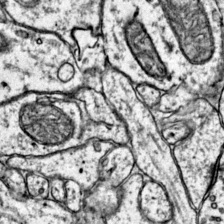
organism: Mouse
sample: Primary visual cortex